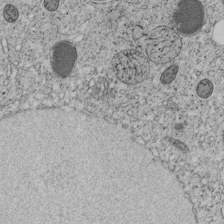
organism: C. elegans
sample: C. elegans embryo early stage